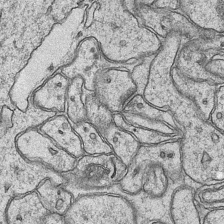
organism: Mouse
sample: CA1 Hippocampus